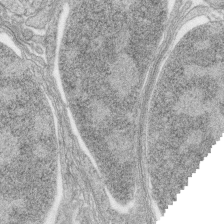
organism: Zebrafish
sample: synaptic ribbons in rod cells and cone cells